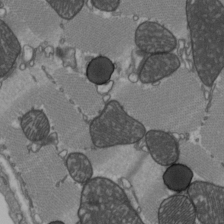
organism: C57BL Mouse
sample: Heart